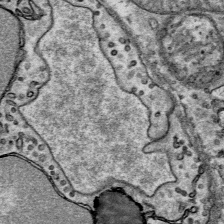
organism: Mouse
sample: Mouse Salivary gland